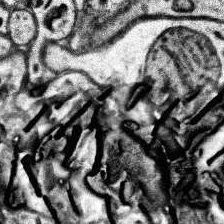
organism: Human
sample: Temporal Lobe